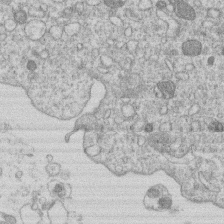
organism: Human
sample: Macrophage cells